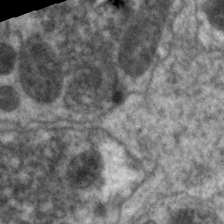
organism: C. elegans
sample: Pharynx